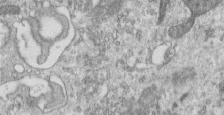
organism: Human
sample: Centriole in RPE cells